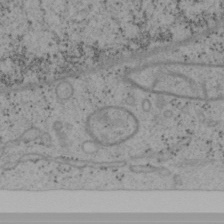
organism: Human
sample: HeLa cells